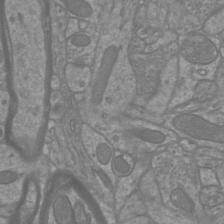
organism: Mouse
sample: Cortical neurons